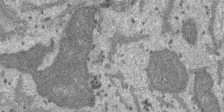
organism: Human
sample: Lung epithelial cells infected with SARS-CoV-2